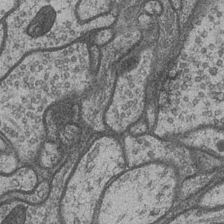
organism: Drosophila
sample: Optic medulla